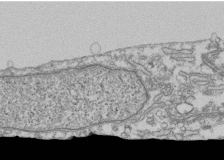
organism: Human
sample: Fibroblast cells